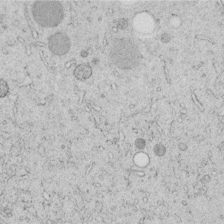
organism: C. elegans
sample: C. elegans embryo early stage